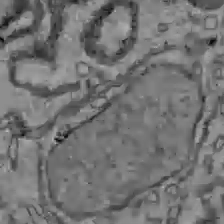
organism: C57BL Mouse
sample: Liver